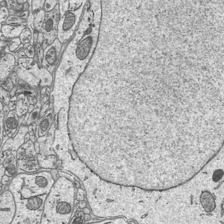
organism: Mouse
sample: Suprachiasmatic nucleus